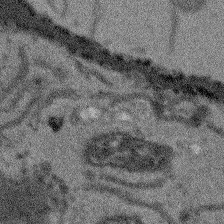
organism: Arabidopsis thaliana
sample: Root tip